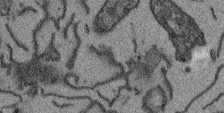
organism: Arabidopsis thaliana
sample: Root tip